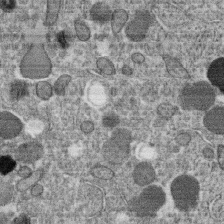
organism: C. elegans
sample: C. elegans oocyte; sperm cells